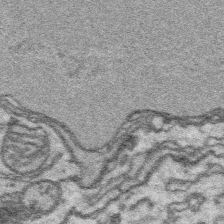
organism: Platynereis dumerilii